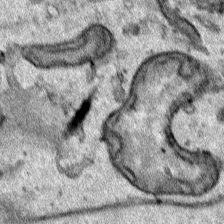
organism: Human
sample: Mitochondria in HCT116 cells